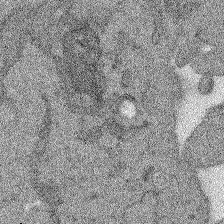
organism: Human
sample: HeLa cells